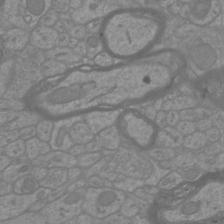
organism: Mouse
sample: Cortical neurons